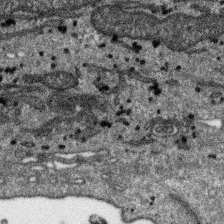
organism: Human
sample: Lung epithelial cells infected with SARS-CoV-2